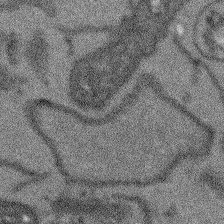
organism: Arabidopsis thaliana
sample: Root tip